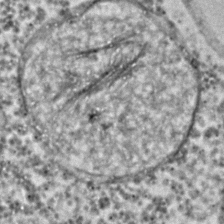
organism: C. elegans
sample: C. elegans embryo